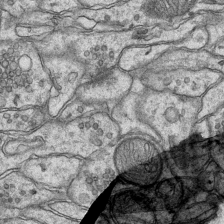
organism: Mouse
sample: CA1 Hippocampus